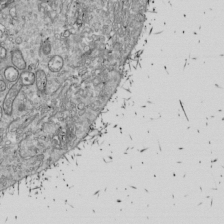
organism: Drosophila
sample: Cell division; meiosis; drosophila spermatocytes